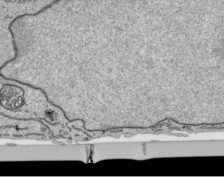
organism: Human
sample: Mitochondria in HCT116 cells